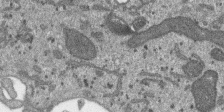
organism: Human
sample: Lung epithelial cells infected with SARS-CoV-2